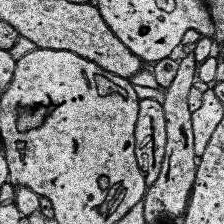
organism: Human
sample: Temporal Lobe